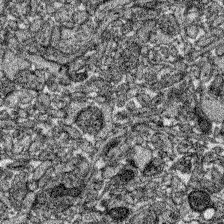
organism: Zebrafish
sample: Larval olfactory bulb